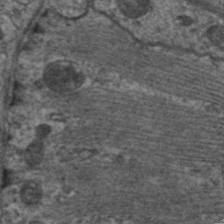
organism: C. elegans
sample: Pharynx